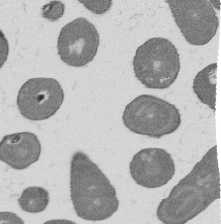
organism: B. subtilis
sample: Bacterial spore